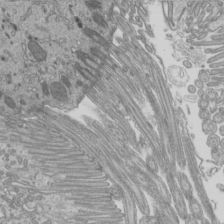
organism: Mouse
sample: Cilia; mouse epididymis